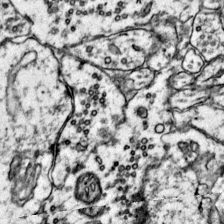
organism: Mouse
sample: Primary visual cortex